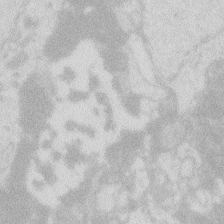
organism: Zebrafish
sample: Macrophage